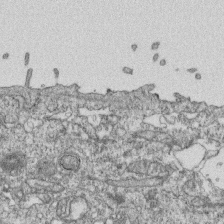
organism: Human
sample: HeLa cell HIV synapse